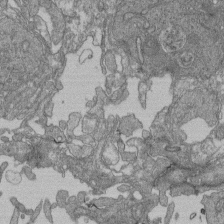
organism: Human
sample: Retinal organoid Rod and Cone cells